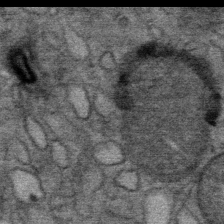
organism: Mouse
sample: Mouse Salivary gland